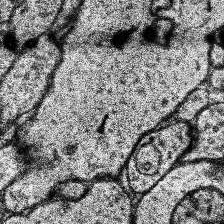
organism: Human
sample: Temporal Lobe